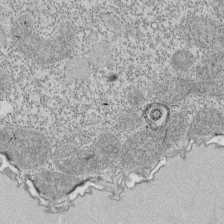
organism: Tetrahymena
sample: Cilia in tetrahymena